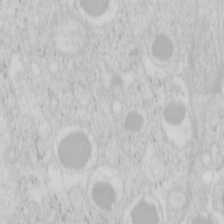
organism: Mouse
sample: Pancreas